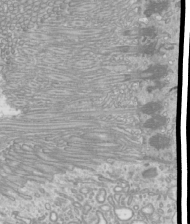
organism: Mouse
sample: Cilia; mouse epididymis